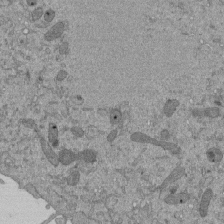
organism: Mouse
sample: ED-1 cell nuclei; centrioles